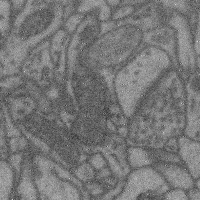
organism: Mouse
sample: Cerebral cortex